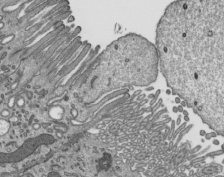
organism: Mouse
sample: Mouse epididymis efferent ductule cilia